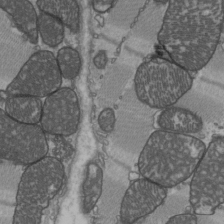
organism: C57BL Mouse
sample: Heart